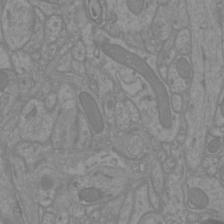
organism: Mouse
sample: Cortical neurons